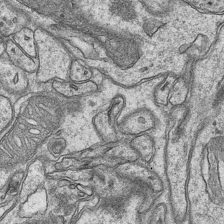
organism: Mouse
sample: CA1 Hippocampus